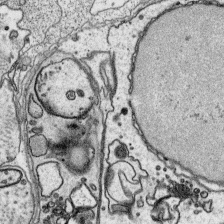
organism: Platynereis dumerilii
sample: Parapodia